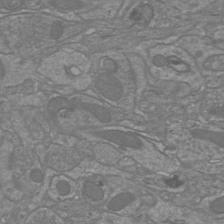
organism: Mouse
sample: Cortical neurons